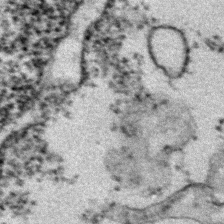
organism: Zebrafish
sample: Zebrafish embryo